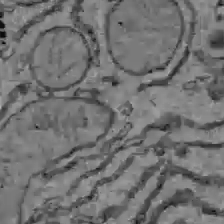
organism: C57BL Mouse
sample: Liver